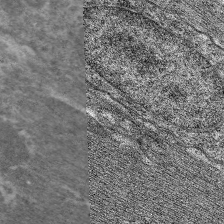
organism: C. elegans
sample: Pharynx